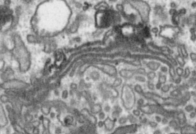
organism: Toxoplasma gondii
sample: Parasites in a vacuole inside a host cell